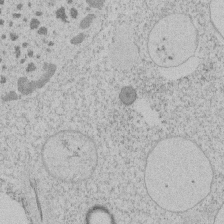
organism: Tetrahymena